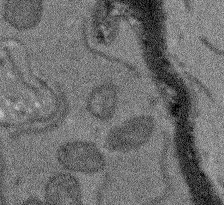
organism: Arabidopsis thaliana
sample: Root tip